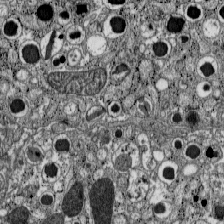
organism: C57BL Mouse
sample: Pancreatic islet